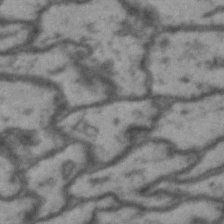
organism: Drosophila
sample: Brain